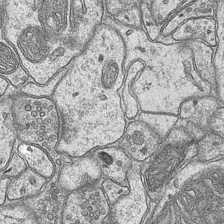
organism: Mouse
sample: CA1 Hippocampus